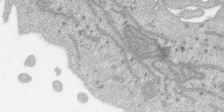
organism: Human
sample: Lung epithelial cells infected with SARS-CoV-2